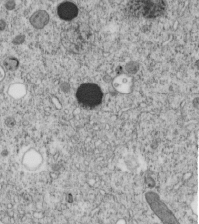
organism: C. elegans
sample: C. elegans embryo early stage